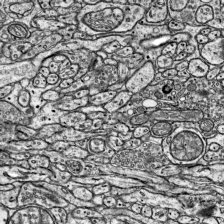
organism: Mouse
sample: Visual Cortex